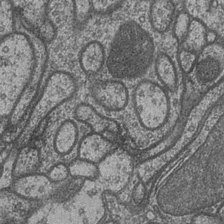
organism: Drosophila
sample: Optic medulla